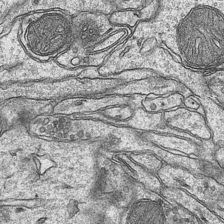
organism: Mouse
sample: CA1 Hippocampus